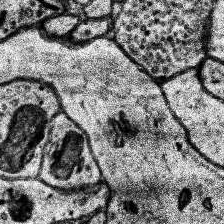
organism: Human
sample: Temporal Lobe